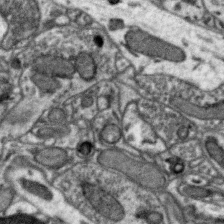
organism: Zebra finch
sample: Brain